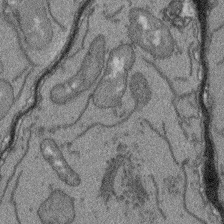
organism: Arabidopsis thaliana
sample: Root tip